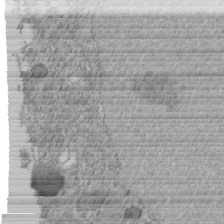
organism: C. elegans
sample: C. elegans embryo early stage